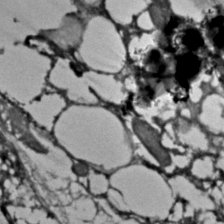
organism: C. elegans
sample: C. elegans embryo